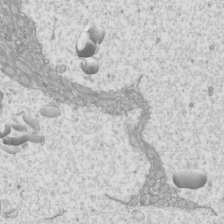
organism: Mouse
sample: Cilia; mouse epididymis